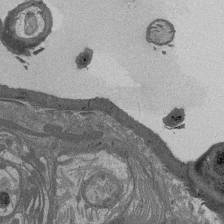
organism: Drosophila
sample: Antenna